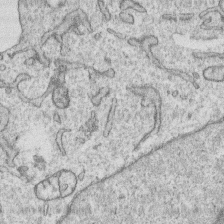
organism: Human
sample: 1205lu cells